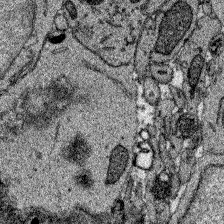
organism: Zebrafish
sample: Larval olfactory bulb